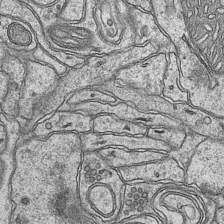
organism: Mouse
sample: CA1 Hippocampus